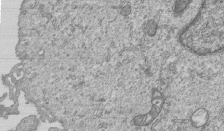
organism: Human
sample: MDA-MB-231 cells